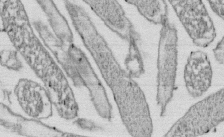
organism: E. coli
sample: Bacterial nucleoid